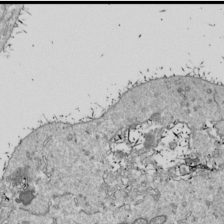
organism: Drosophila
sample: Cell division; meiosis; drosophila spermatocytes